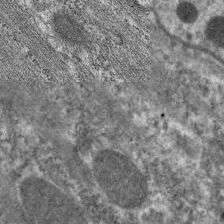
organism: C. elegans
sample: Pharynx